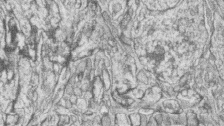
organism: Zebrafish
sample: synaptic ribbons in rod cells and cone cells